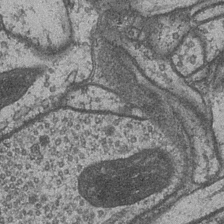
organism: Drosophila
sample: Optic medulla